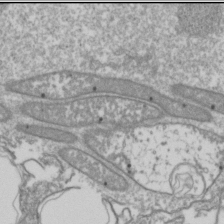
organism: Drosophila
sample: Cell division; meiosis; drosophila spermatocytes